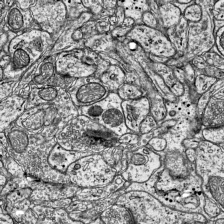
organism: Mouse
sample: Visual Cortex